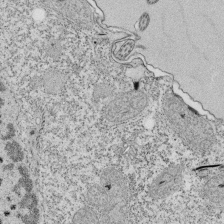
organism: Tetrahymena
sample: Cilia in tetrahymena